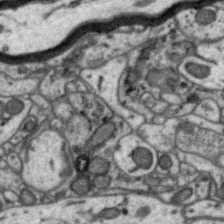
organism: Zebra finch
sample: Brain